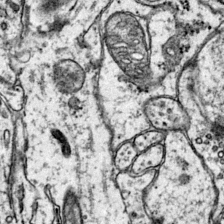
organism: Mouse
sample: Primary visual cortex